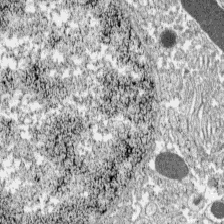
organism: C57BL Mouse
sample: Pancreatic islet